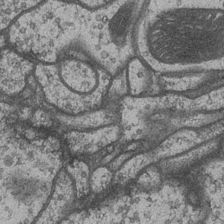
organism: Drosophila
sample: Optic medulla